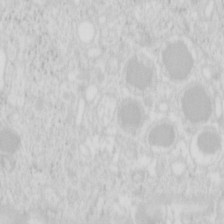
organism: Mouse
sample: Pancreas